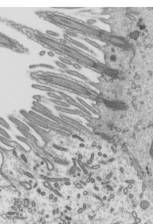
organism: Mouse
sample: Mouse epididymis efferent ductule cilia